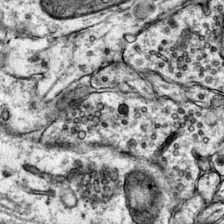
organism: Mouse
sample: Primary visual cortex